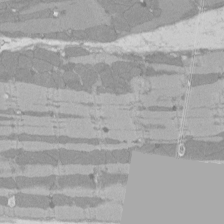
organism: Rat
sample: Left ventricle